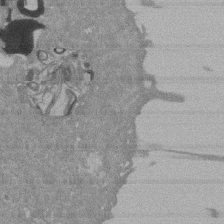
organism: Mouse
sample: ED-1 cell nuclei; centrioles